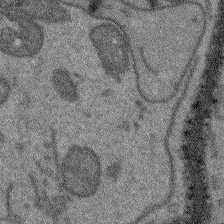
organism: Arabidopsis thaliana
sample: Root tip